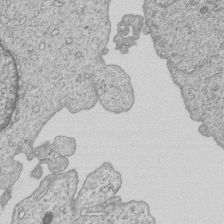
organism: Human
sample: MDA-MB-231 cells